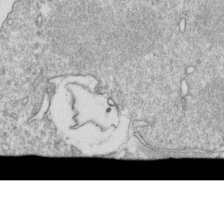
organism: Mouse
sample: Activated OT-1 CD8+ T cells